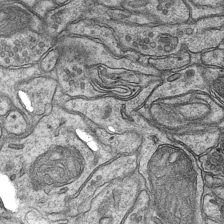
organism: Mouse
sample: CA1 Hippocampus